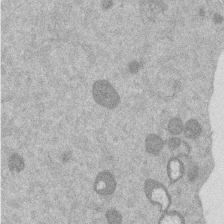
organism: Mouse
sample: Dividing mouse embryo 1 cell stage